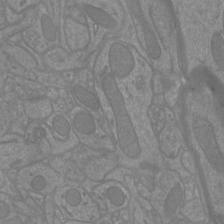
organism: Mouse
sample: Cortical neurons